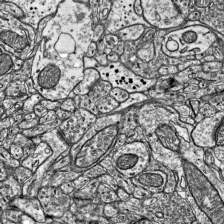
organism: Mouse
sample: Visual Cortex